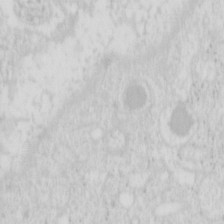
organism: Mouse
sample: Pancreas